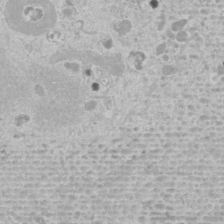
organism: Human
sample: Mitochondria in U2OS cells